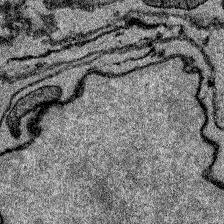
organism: Zebrafish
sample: Larval olfactory bulb